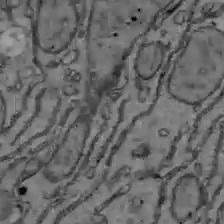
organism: C57BL Mouse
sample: Liver